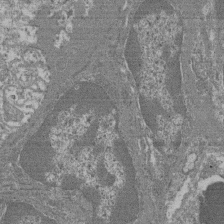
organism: Mouse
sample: Glomerulus